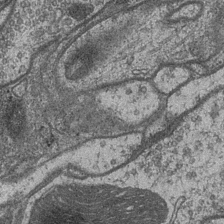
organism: Drosophila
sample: Optic medulla